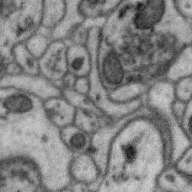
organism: Zebra finch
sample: Brain